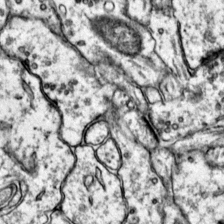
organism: Mouse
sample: Primary visual cortex